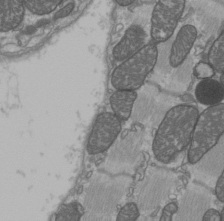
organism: C57BL Mouse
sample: Heart